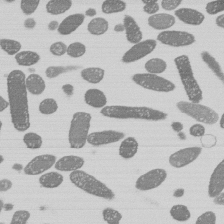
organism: E. coli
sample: Bacterial nucleoid